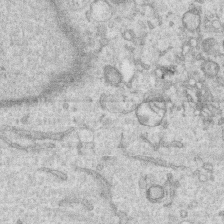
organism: Human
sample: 1205lu cells